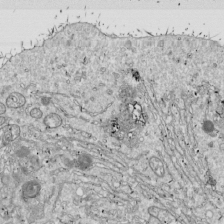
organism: Drosophila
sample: Cell division; meiosis; drosophila spermatocytes